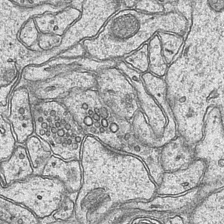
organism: Mouse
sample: CA1 Hippocampus